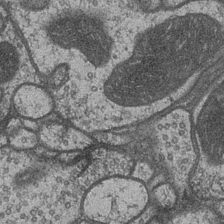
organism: Drosophila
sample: Optic medulla